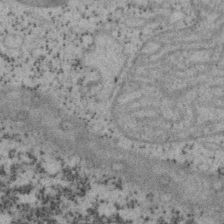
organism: Human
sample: HeLa cells